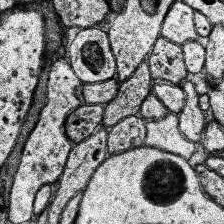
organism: Human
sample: Temporal Lobe